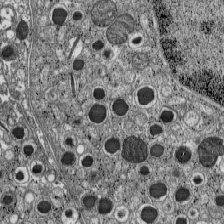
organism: C57BL Mouse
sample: Pancreatic islet